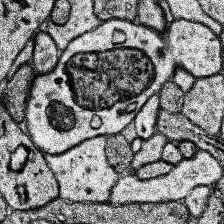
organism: Human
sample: Temporal Lobe